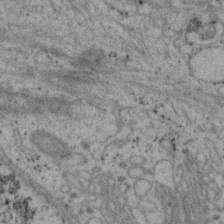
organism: Human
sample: HeLa cells